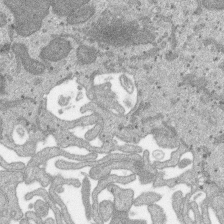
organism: Human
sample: Lung epithelial cells infected with SARS-CoV-2